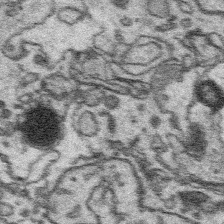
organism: Platynereis dumerilii